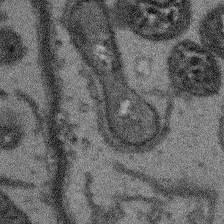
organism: Arabidopsis thaliana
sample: Root tip